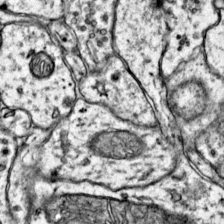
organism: Mouse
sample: Primary visual cortex